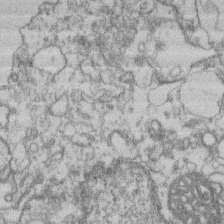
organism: Mouse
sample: T cell stromal cell synapse